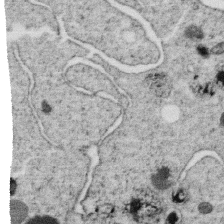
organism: C. elegans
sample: C. elegans oocyte; sperm cells